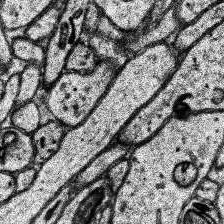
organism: Human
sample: Temporal Lobe